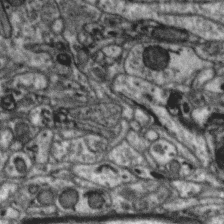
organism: Zebra finch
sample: Brain